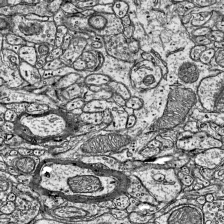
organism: Mouse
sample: Visual Cortex